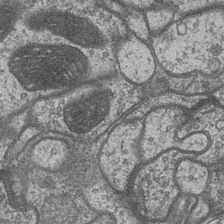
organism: Drosophila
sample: Optic medulla